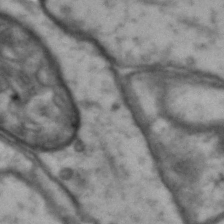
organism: Drosophila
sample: Brain